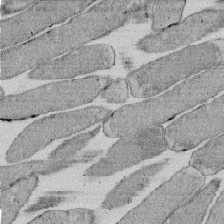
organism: E. coli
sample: Bacterial nucleoid